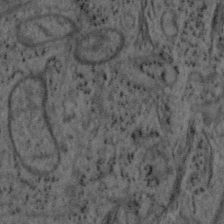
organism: Human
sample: HeLa cells